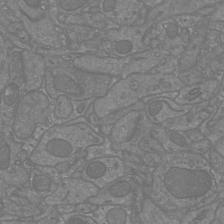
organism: Mouse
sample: Cortical neurons